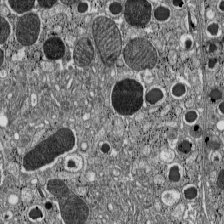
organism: C57BL Mouse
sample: Pancreatic islet